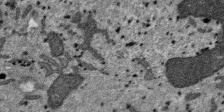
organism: Human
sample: Lung epithelial cells, uninfected (mock) control